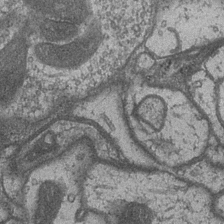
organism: Drosophila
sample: Optic medulla